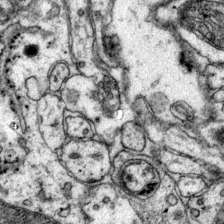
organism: Mouse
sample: Primary visual cortex